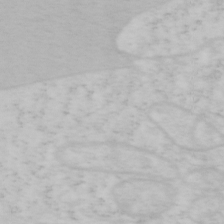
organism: Mouse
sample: OT-I killer T cells with ID8 ovarian cancer cells